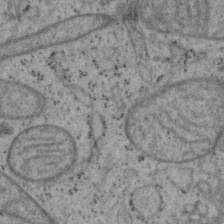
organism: Human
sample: HeLa cells